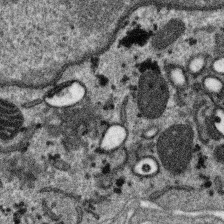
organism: Human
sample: Lung epithelial cells infected with SARS-CoV-2